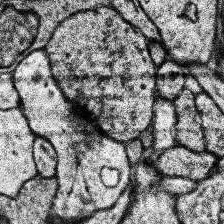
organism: Human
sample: Temporal Lobe